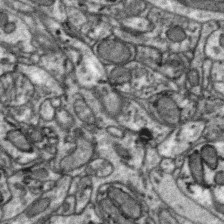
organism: Zebra finch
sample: Brain